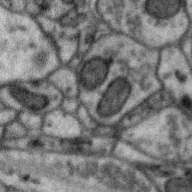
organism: Zebra finch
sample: Brain